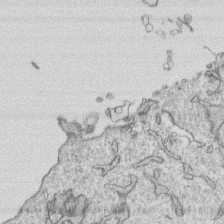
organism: Human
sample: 1205lu cells